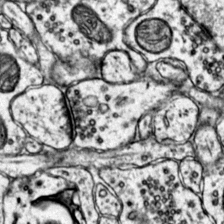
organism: Mouse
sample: Primary visual cortex